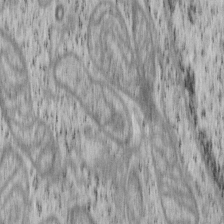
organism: Human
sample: HeLa cells